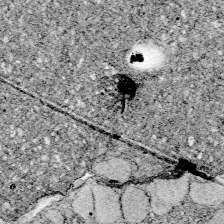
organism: Zebrafish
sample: Whole-Brain